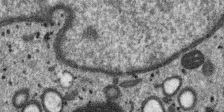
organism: Human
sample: Lung epithelial cells infected with SARS-CoV-2